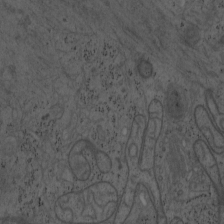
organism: Mouse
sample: OT-I killer T cells with ID8 ovarian cancer cells